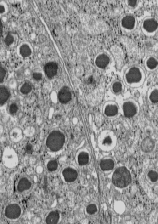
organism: C57BL Mouse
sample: Pancreatic islet